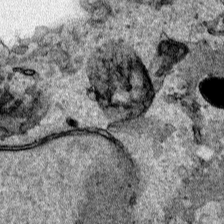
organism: Human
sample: Mitochondria in HCT116 cells